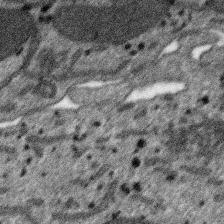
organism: Human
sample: Lung epithelial cells infected with SARS-CoV-2